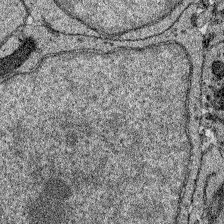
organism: Zebrafish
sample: Larval olfactory bulb